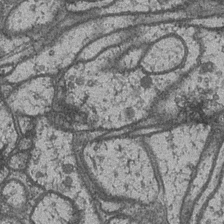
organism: Drosophila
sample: Optic medulla